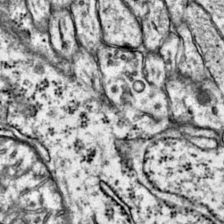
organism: Mouse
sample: Primary visual cortex